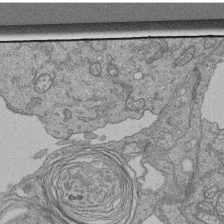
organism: Human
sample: Retinal organoid Rod and Cone cells